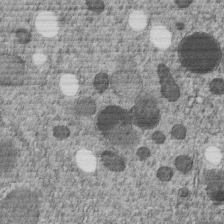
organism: C. elegans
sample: C. elegans embryo early stage